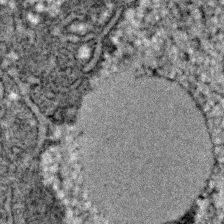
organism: C. elegans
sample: C. elegans embryo